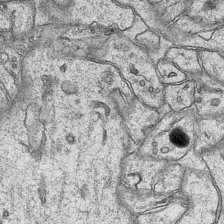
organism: Mouse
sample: CA1 Hippocampus